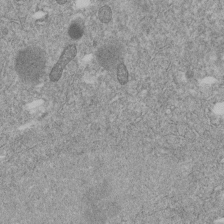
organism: C. elegans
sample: C. elegans embryo early stage